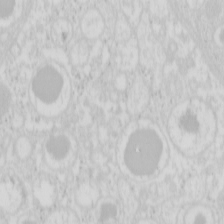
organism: Mouse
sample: Pancreas